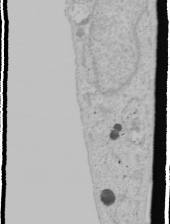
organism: Human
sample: Mitochondria in U2OS cells